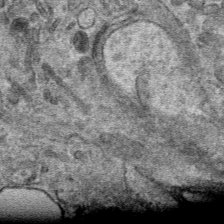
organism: Mouse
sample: Mouse hepatocytes